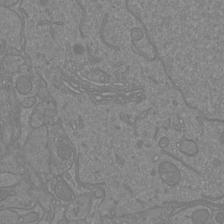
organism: Mouse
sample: Cortical neurons